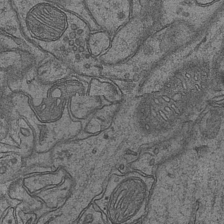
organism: Mouse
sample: CA1 Hippocampus